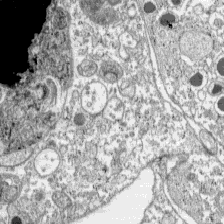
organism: C57BL Mouse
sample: Pancreatic islet